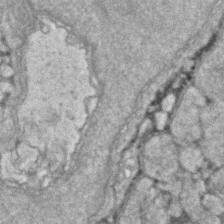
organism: Zebrafish